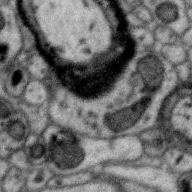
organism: Zebra finch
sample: Brain